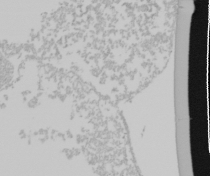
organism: Mouse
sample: Cancer cell death in ED-1 cells